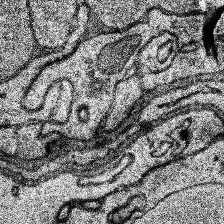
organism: Human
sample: Temporal Lobe